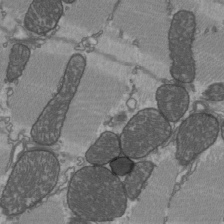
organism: C57BL Mouse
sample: Heart